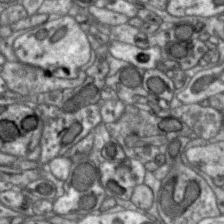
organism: Zebra finch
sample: Brain